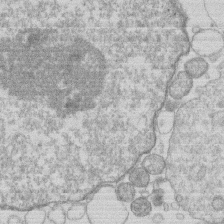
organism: Human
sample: Macrophage cells